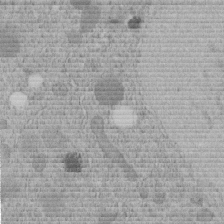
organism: C. elegans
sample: C. elegans embryo early stage